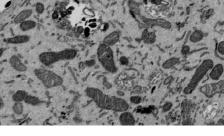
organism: Mouse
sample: ED-1 cell nuclei; centrioles